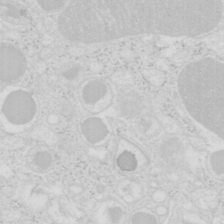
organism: Mouse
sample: Pancreas